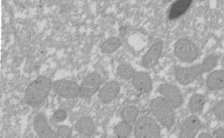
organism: Xenopus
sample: Cilia; centrioles in frog embryo cells